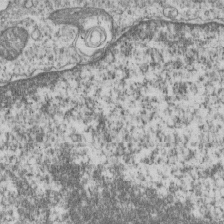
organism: Human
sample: MDA-MB-231 cells